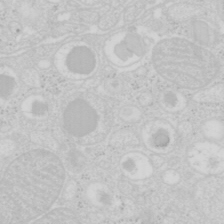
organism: Mouse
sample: Pancreas